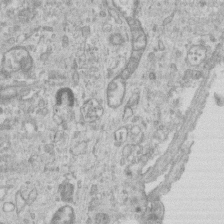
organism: Mouse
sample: Centriole in ependymal cells